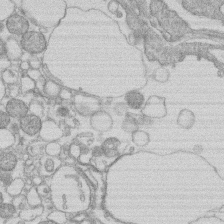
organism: Human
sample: Macrophage cells